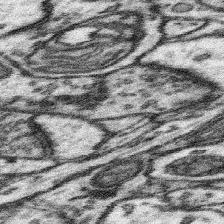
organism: Mouse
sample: Somatosensory cortex neuropil